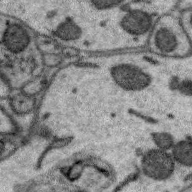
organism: Zebra finch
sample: Brain